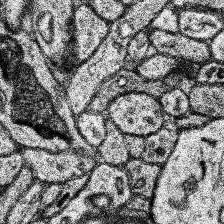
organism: Human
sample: Temporal Lobe